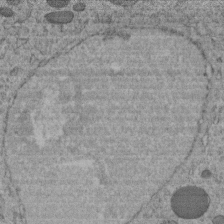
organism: C. elegans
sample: C. elegans embryo early stage